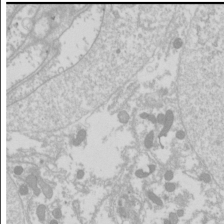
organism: Drosophila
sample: Cell division; meiosis; drosophila spermatocytes